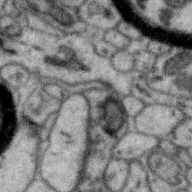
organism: Zebra finch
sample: Brain